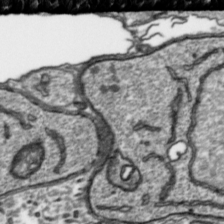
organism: Toxoplasma gondii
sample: Parasites in a vacuole inside a host cell